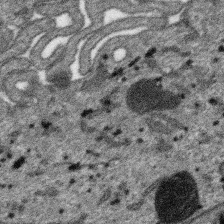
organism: Human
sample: Lung epithelial cells infected with SARS-CoV-2